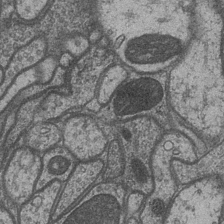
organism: Drosophila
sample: Optic medulla